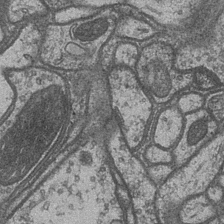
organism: Drosophila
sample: Optic medulla